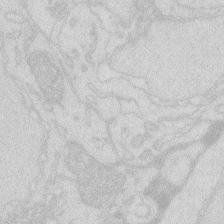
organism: Zebrafish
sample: Macrophage